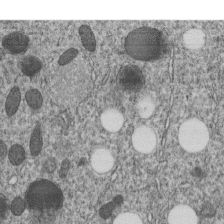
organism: C. elegans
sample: C. elegans embryo early stage